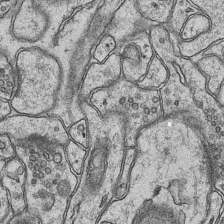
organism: Mouse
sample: CA1 Hippocampus